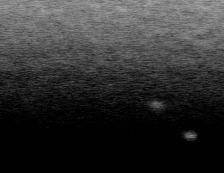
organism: Human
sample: HeLa cells